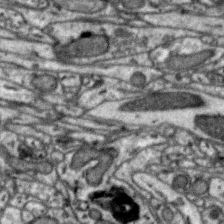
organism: Zebra finch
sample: Brain